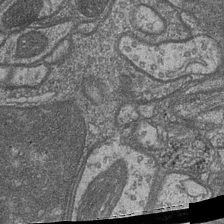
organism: Drosophila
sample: Optic medulla